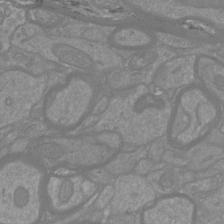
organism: Mouse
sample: Cortical neurons